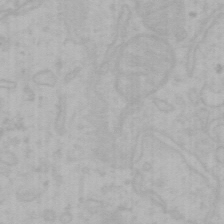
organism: Mouse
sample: Choroid plexus